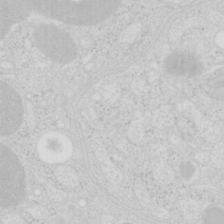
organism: Mouse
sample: Pancreas